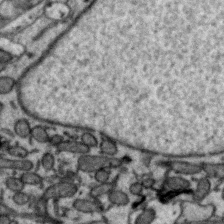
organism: Zebra finch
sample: Brain